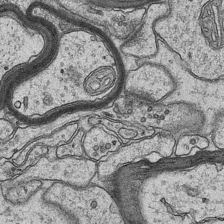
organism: Mouse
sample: CA1 Hippocampus